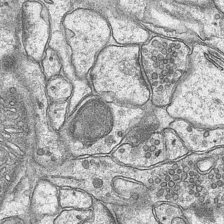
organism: Mouse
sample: CA1 Hippocampus